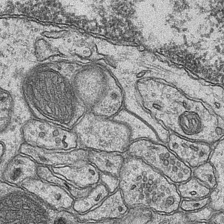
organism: Mouse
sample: CA1 Hippocampus